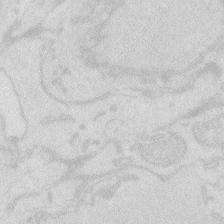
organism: Zebrafish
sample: Macrophage